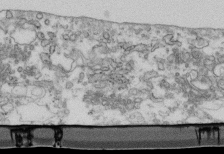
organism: Mouse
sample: Cilia; retinal pigment epithelium